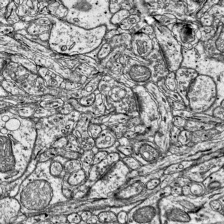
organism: Mouse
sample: Visual Cortex